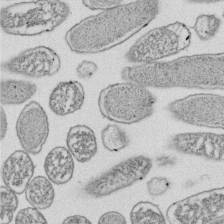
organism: E. coli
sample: Bacterial nucleoid